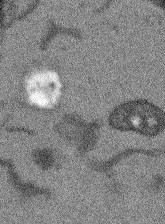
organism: Arabidopsis thaliana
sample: Root tip